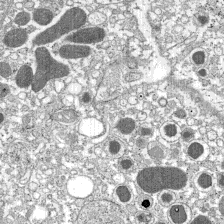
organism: C57BL Mouse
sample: Pancreatic islet